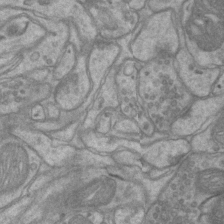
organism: Mouse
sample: CA1 Hippocampus